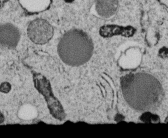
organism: C. elegans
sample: C. elegans embryo early stage